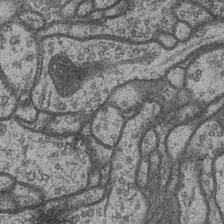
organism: Drosophila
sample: Optic medulla